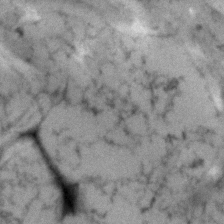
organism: Human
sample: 1205lu cells